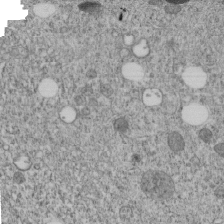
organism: C. elegans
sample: C. elegans embryo early stage